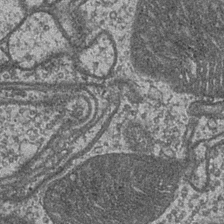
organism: Drosophila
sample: Optic medulla